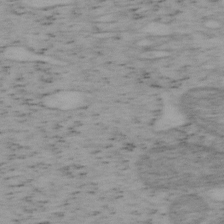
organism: Mouse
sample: OT-I killer T cells with ID8 ovarian cancer cells